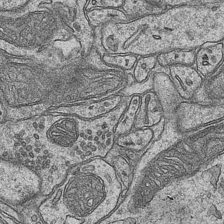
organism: Mouse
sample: CA1 Hippocampus